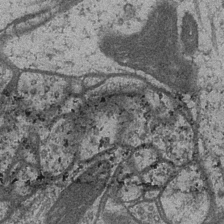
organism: Drosophila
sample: Optic medulla